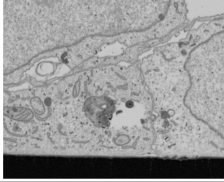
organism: Human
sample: Mitochondria in U2OS cells